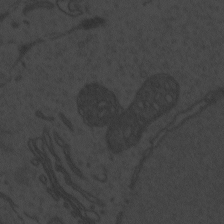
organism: Zebrafish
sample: Macrophage infected with Toxoplasma gondii